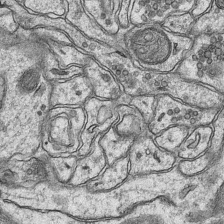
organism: Mouse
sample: CA1 Hippocampus